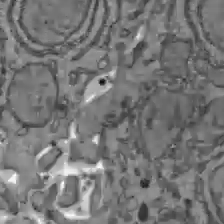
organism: C57BL Mouse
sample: Liver